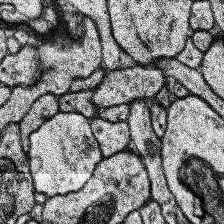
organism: Human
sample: Temporal Lobe